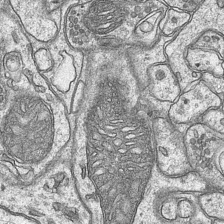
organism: Mouse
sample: CA1 Hippocampus